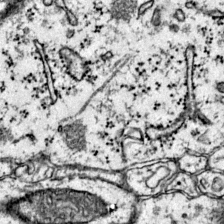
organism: Mouse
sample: Primary visual cortex